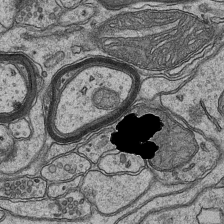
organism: Mouse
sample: CA1 Hippocampus